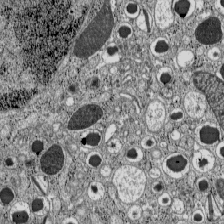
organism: C57BL Mouse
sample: Pancreatic islet